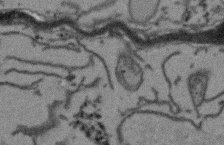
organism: Arabidopsis thaliana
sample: Root tip